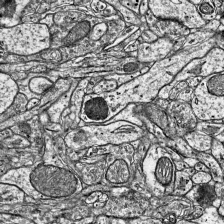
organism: Mouse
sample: Visual Cortex